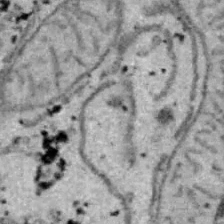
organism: Mouse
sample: Liver from an obese (ob/ob) mouse